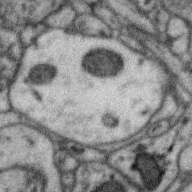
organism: Zebra finch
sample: Brain